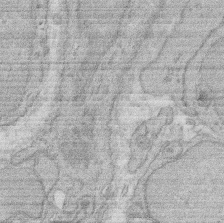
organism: Rat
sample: Salivary granule